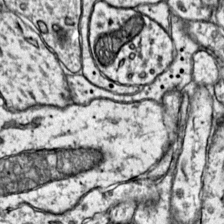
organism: Mouse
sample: Primary visual cortex